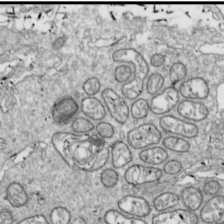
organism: Drosophila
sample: Cell division; meiosis; drosophila spermatocytes